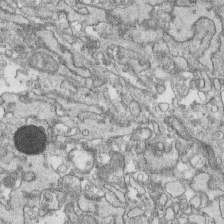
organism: Human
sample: CRL-1474